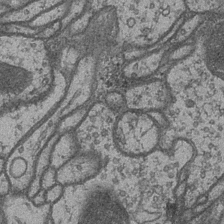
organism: Drosophila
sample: Optic medulla